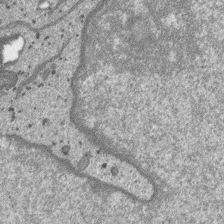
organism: Human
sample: Lung epithelial cells infected with SARS-CoV-2